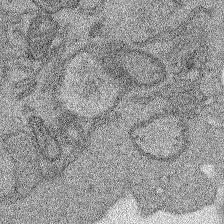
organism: Human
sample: HeLa cells